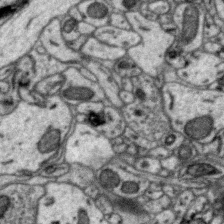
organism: Zebra finch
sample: Brain